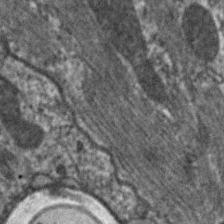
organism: C. elegans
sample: Pharynx